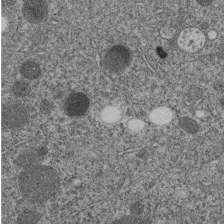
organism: C. elegans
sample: C. elegans embryo early stage